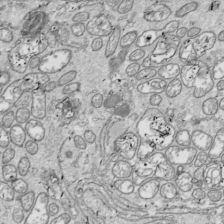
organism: Drosophila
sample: Cell division; meiosis; drosophila spermatocytes